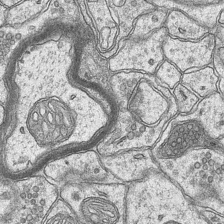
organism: Mouse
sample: CA1 Hippocampus